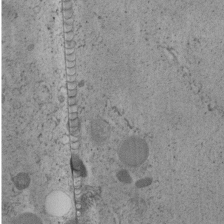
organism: C. elegans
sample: C. elegans embryo early stage